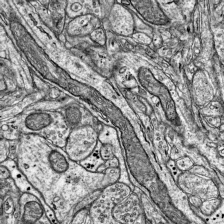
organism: Mouse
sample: Visual Cortex